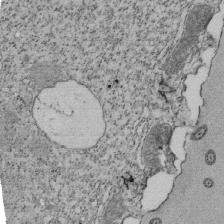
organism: Tetrahymena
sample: Cilia in tetrahymena